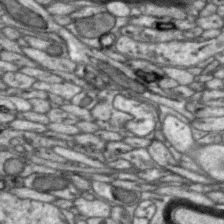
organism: Zebra finch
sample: Brain